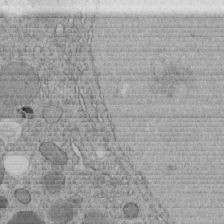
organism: C. elegans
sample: C. elegans embryo early stage